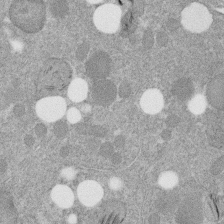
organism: C. elegans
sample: C. elegans embryo early stage